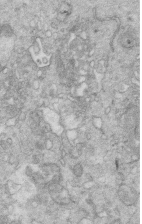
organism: Mouse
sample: Multiciliated cells